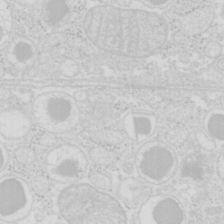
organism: Mouse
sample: Pancreas